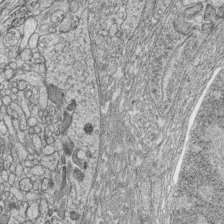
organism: Zebrafish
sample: synaptic ribbons in rod cells and cone cells